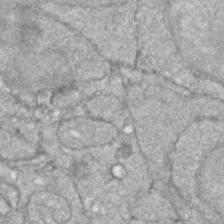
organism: Zebrafish